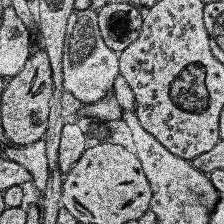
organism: Human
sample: Temporal Lobe